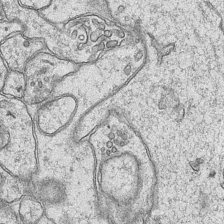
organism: Mouse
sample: CA1 Hippocampus